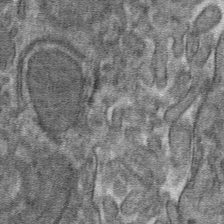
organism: Mouse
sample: Mouse hepatocytes